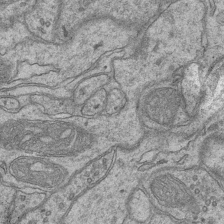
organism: Mouse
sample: CA1 Hippocampus